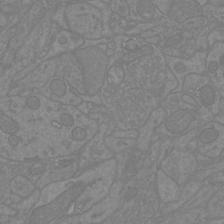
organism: Mouse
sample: Cortical neurons